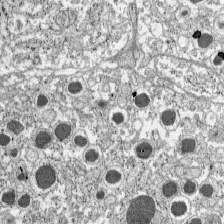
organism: C57BL Mouse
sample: Pancreatic islet